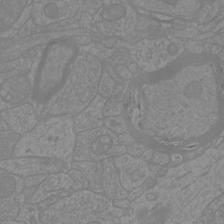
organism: Mouse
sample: Cortical neurons